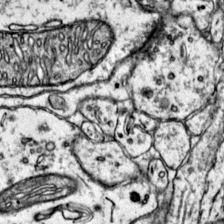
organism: Mouse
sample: Primary visual cortex